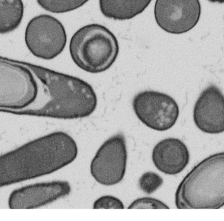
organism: B. subtilis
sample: Bacterial spore